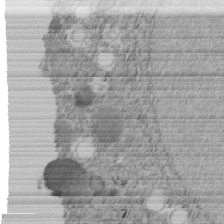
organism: C. elegans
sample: C. elegans embryo early stage